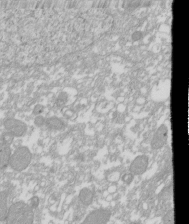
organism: Xenopus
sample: Cilia; centrioles in frog embryo cells